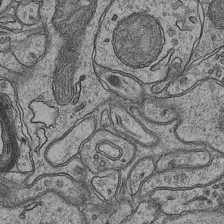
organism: Mouse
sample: CA1 Hippocampus